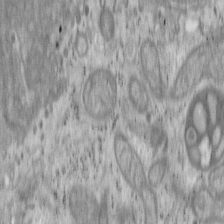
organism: Human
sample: HeLa cells